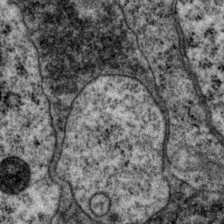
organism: P. pacificus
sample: Pharynx